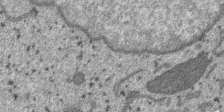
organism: Human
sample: Lung epithelial cells infected with SARS-CoV-2